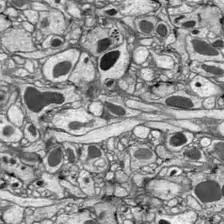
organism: Drosophila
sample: Optic lobe